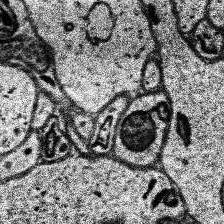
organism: Human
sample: Temporal Lobe